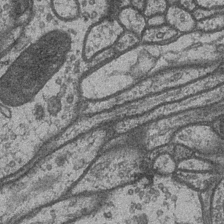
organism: Drosophila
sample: Optic medulla